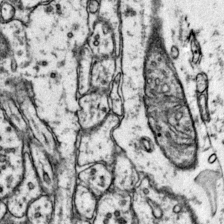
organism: Mouse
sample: Primary visual cortex